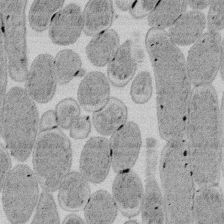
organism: E. coli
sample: Bacterial nucleoid